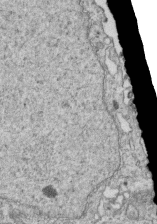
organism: Human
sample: HeLa cell HIV synapse